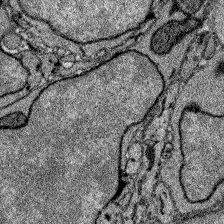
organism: Zebrafish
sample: Larval olfactory bulb